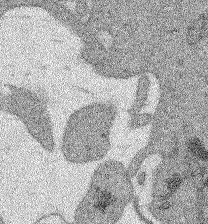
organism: Human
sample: HeLa cells